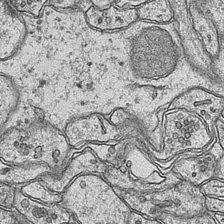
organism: Mouse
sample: CA1 Hippocampus